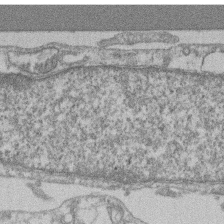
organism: Mouse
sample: T cell stromal cell synapse